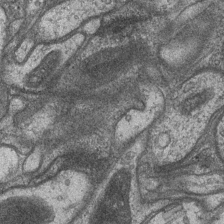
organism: Drosophila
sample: Optic medulla